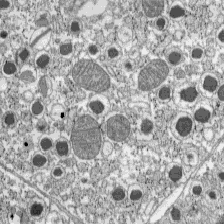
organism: C57BL Mouse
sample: Pancreatic islet